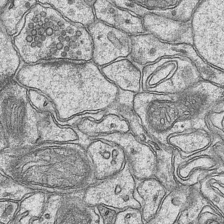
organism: Mouse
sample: CA1 Hippocampus